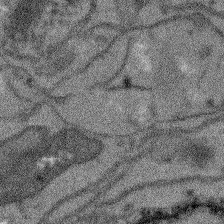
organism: Arabidopsis thaliana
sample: Root tip